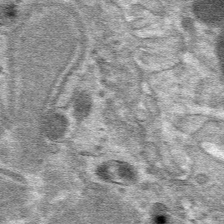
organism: Mouse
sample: Mouse hepatocytes